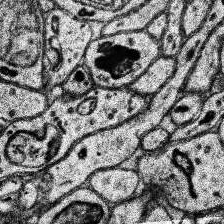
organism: Human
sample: Temporal Lobe